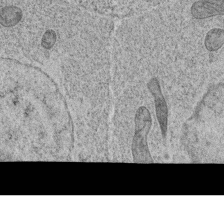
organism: C. elegans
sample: C. elegans oocyte; sperm cells